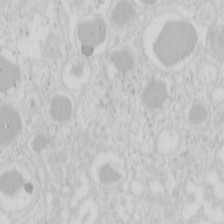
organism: Mouse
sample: Pancreas